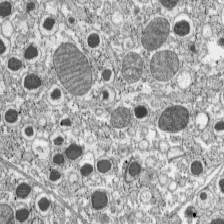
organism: C57BL Mouse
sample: Pancreatic islet